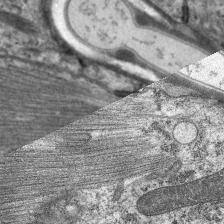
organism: C. elegans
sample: Pharynx